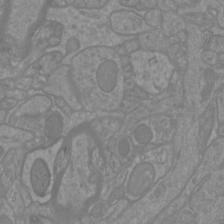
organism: Mouse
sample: Cortical neurons